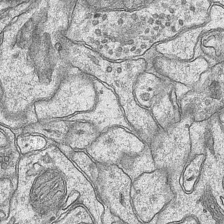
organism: Mouse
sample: CA1 Hippocampus